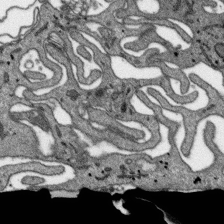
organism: Human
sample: Lung epithelial cells, uninfected (mock) control